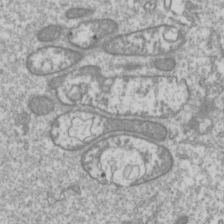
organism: Drosophila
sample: Cell division; meiosis; drosophila spermatocytes